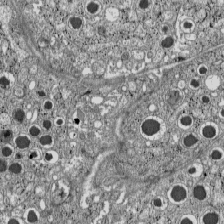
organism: C57BL Mouse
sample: Pancreatic islet